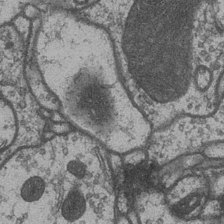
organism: Drosophila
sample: Optic medulla